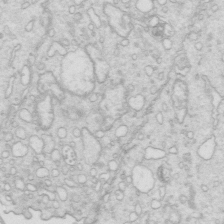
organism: Mouse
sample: Multiciliated cells